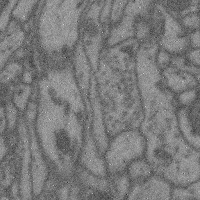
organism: Mouse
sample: Cerebral cortex